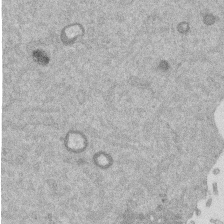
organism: Mouse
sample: Dividing mouse embryo 1 cell stage